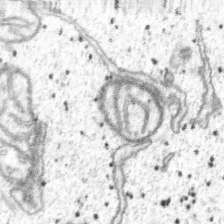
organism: Human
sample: HeLa cells